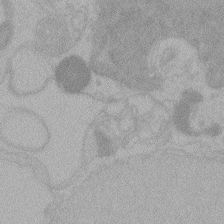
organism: Zebrafish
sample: Macrophage infected with Toxoplasma gondii